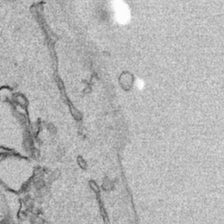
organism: Human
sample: Mitochondria in HCT116 cells